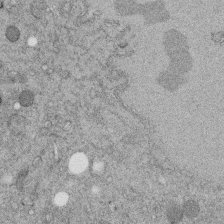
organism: C. elegans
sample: C. elegans embryo early stage